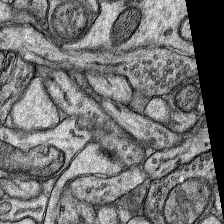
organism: Rat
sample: Hippocampus